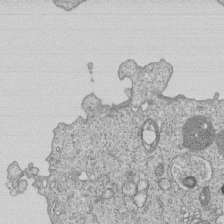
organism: Human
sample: MDA-MB-231 cells